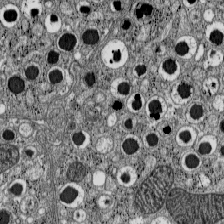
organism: C57BL Mouse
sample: Pancreatic islet